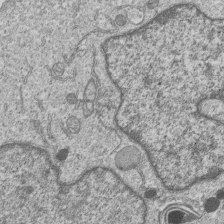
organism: Human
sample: MDA-MB-231 cells